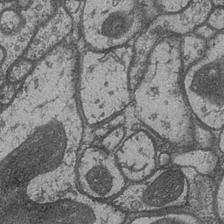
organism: Drosophila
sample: Optic medulla